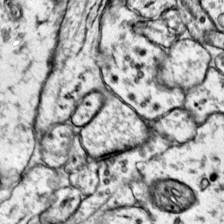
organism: Mouse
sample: Primary visual cortex